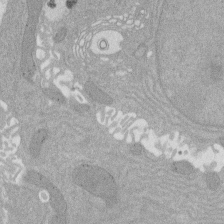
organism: Rat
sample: Salivary granule